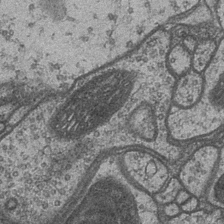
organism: Drosophila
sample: Optic medulla